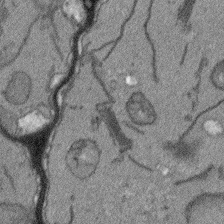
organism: Arabidopsis thaliana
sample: Root tip